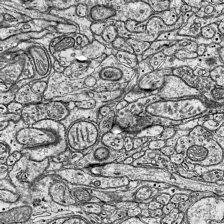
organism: Mouse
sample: Visual Cortex